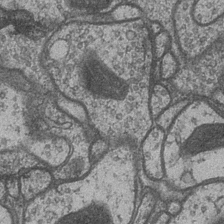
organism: Drosophila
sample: Optic medulla